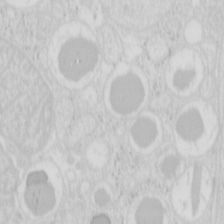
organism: Mouse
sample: Pancreas